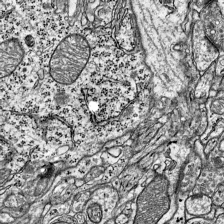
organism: Mouse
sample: Visual Cortex